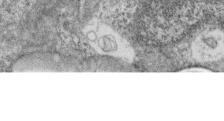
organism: Zebrafish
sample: Cilia; retinal pigment epithelium